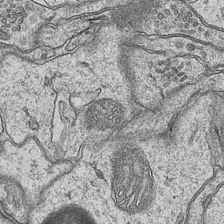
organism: Mouse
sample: CA1 Hippocampus